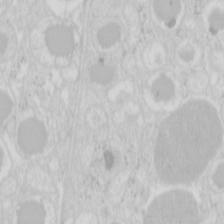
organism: Mouse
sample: Pancreas